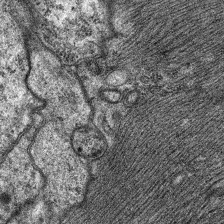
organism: C. elegans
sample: Pharynx